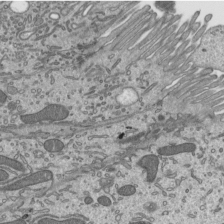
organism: Mouse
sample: Mouse epididymis efferent ductule cilia